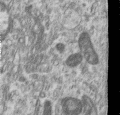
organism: Human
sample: Centriole in RPE cells